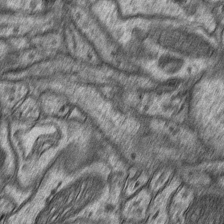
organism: Mouse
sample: CA1 Hippocampus